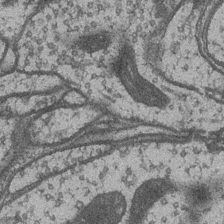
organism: Drosophila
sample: Optic medulla